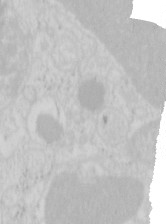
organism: Mouse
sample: Pancreas